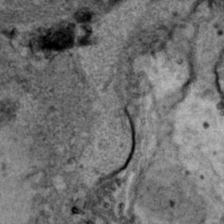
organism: Human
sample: Mitochondria in HCT116 cells